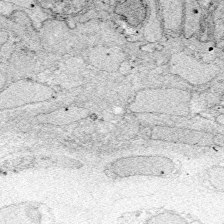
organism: Zebrafish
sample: Whole-Brain